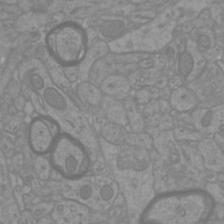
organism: Mouse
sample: Cortical neurons